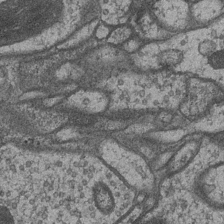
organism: Drosophila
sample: Optic medulla